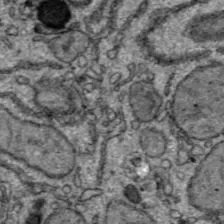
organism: C57BL Mouse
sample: Liver